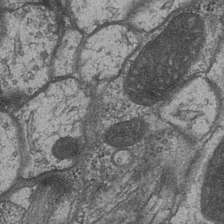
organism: Drosophila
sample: Optic medulla